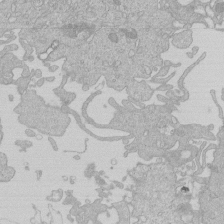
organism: Human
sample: Macrophage cells